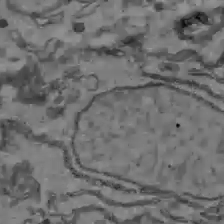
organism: C57BL Mouse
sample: Liver